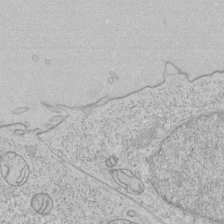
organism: Human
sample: Mitochondria in HCT116 cells